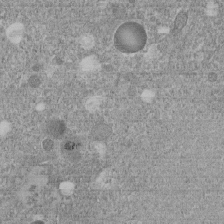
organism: C. elegans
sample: C. elegans embryo early stage